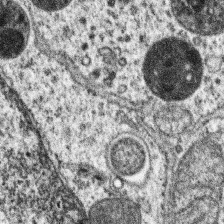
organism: Human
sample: HeLa cells